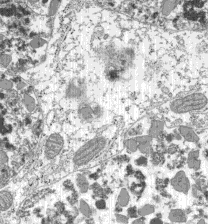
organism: C57BL Mouse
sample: Pancreatic islet